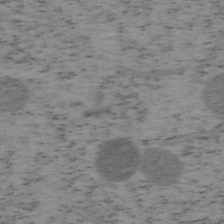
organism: Mouse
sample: OT-I killer T cells with ID8 ovarian cancer cells